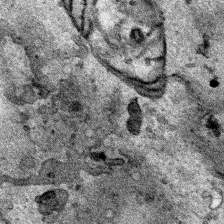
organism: Human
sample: Mitochondria in HCT116 cells